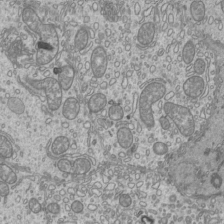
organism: Mouse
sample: Cilia; mouse epididymis